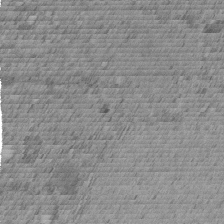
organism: C. elegans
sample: C. elegans embryo early stage